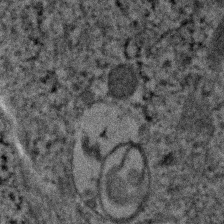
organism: Human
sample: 1205lu cells